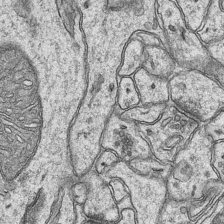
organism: Mouse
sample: CA1 Hippocampus